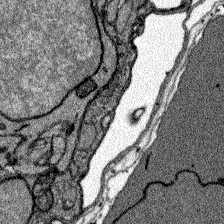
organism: Zebrafish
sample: Larval olfactory bulb